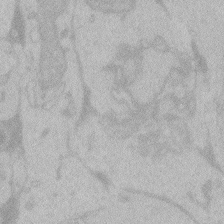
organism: Zebrafish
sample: Macrophage infected with Toxoplasma gondii